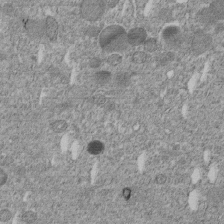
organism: C. elegans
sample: C. elegans embryo early stage